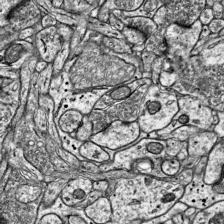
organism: Mouse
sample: Visual Cortex